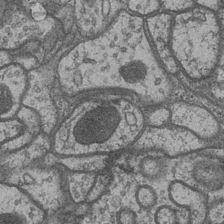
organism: Drosophila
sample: Optic medulla